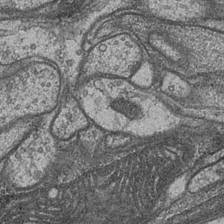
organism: Drosophila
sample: Optic medulla